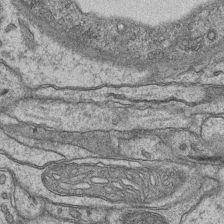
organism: Mouse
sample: CA1 Hippocampus